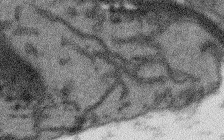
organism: Arabidopsis thaliana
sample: Root tip